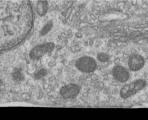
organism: Human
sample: Centriole in RPE cells